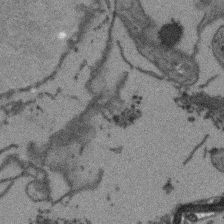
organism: Arabidopsis thaliana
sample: Root tip